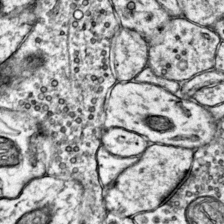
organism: Mouse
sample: Primary visual cortex